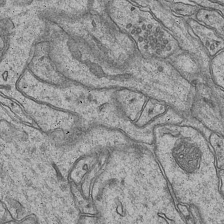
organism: Mouse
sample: CA1 Hippocampus